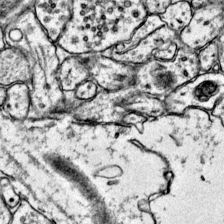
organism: Mouse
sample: Primary visual cortex